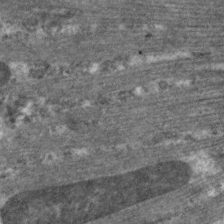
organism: C. elegans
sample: Pharynx